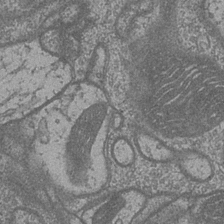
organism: Drosophila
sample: Optic medulla